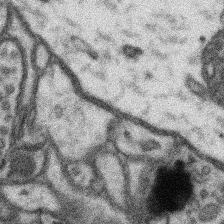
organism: Mouse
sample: Somatosensory cortex neuropil